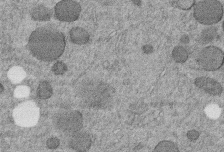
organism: C. elegans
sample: C. elegans embryo early stage